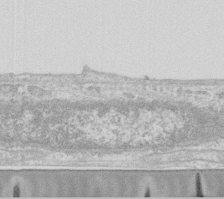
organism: Human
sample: Fibroblast cells